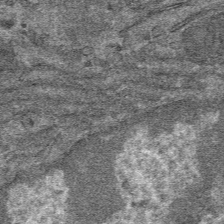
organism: Mouse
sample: Mouse hepatocytes